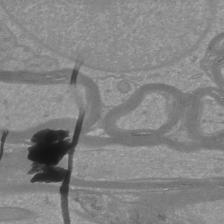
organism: Mouse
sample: Cortical neurons